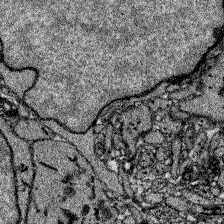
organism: Zebrafish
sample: Larval olfactory bulb